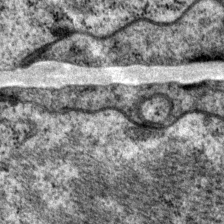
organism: P. pacificus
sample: Pharynx